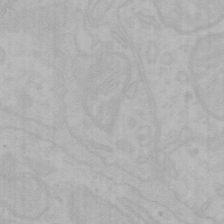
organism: Mouse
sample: Choroid plexus